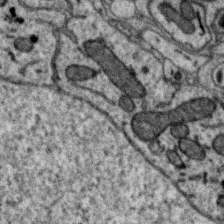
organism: Zebra finch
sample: Brain